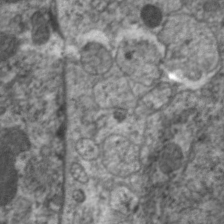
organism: C. elegans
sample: Pharynx